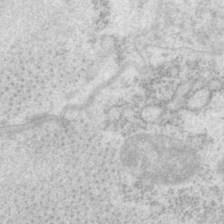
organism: P. pacificus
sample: Pharynx